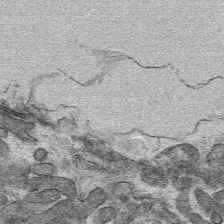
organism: Mouse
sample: Mouse hepatocytes